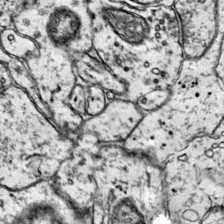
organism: Mouse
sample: Primary visual cortex